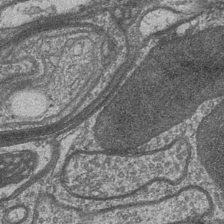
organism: Drosophila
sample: Optic medulla